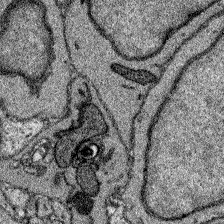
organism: Zebrafish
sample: Larval olfactory bulb